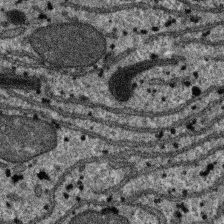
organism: Human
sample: Lung epithelial cells infected with SARS-CoV-2